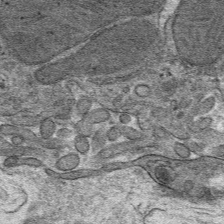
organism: Mouse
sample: Mouse hepatocytes